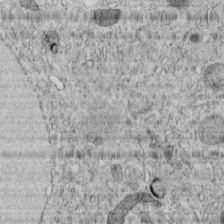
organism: C. elegans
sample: C. elegans embryo early stage